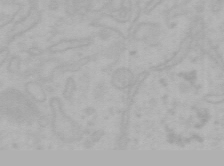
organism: Mouse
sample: Choroid plexus